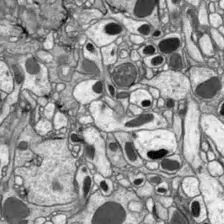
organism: Drosophila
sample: Optic lobe